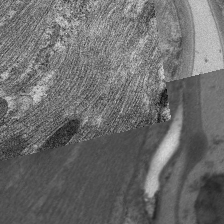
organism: C. elegans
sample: Pharynx